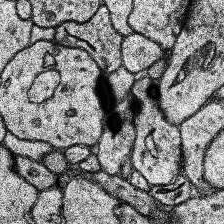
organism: Human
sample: Temporal Lobe